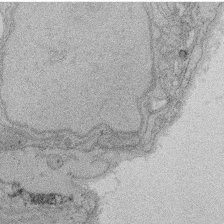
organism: Rat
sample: Salivary granule